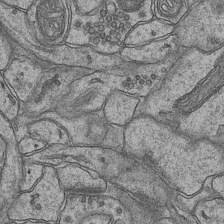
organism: Mouse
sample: CA1 Hippocampus